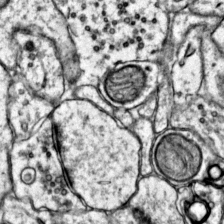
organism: Mouse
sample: Primary visual cortex